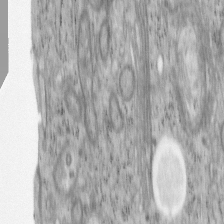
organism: Human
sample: HeLa cells